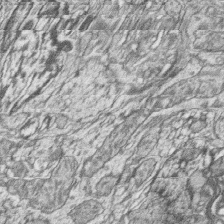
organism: Zebrafish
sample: synaptic ribbons in rod cells and cone cells